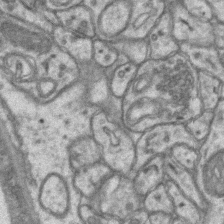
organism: Mouse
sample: CA1 Hippocampus